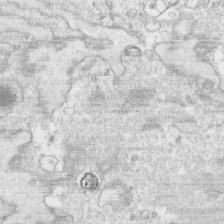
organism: Human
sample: CRL-1474